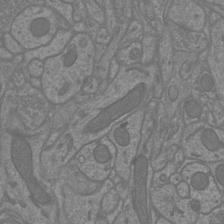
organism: Mouse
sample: Cortical neurons